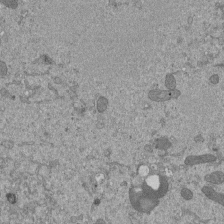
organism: Mouse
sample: ED-1 cell nuclei; centrioles